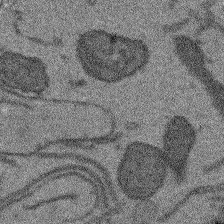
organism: Arabidopsis thaliana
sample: Root tip